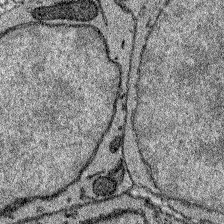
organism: Zebrafish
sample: Larval olfactory bulb